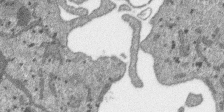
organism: Human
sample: Lung epithelial cells infected with SARS-CoV-2